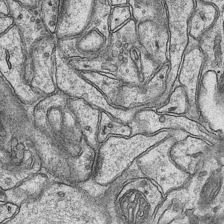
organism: Mouse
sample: CA1 Hippocampus